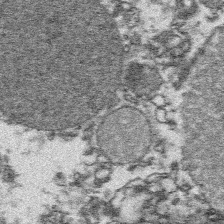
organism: Platynereis dumerilii